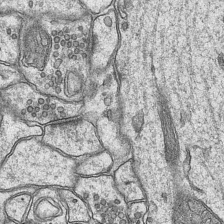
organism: Mouse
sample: CA1 Hippocampus